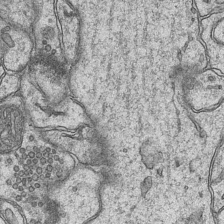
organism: Mouse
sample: CA1 Hippocampus